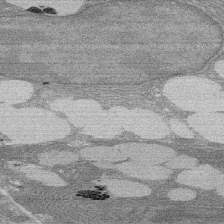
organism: Rat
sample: Salivary granule